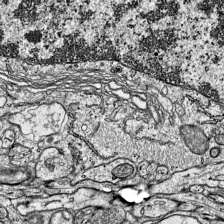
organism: Mouse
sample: Visual Cortex